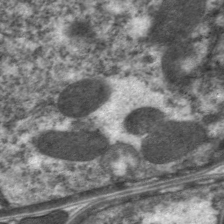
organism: C. elegans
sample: Pharynx